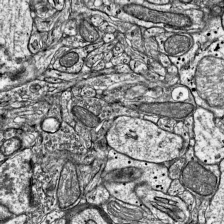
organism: Mouse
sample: Visual Cortex